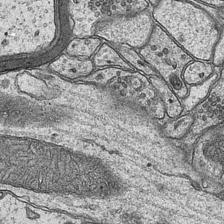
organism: Mouse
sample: CA1 Hippocampus